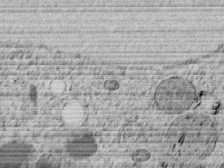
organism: C. elegans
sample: C. elegans embryo early stage